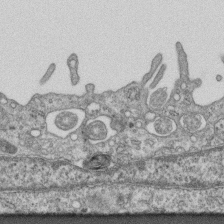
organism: Mouse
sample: Centriole in ependymal cells